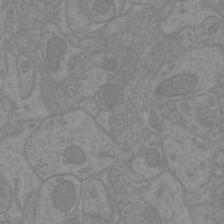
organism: Mouse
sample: Cortical neurons